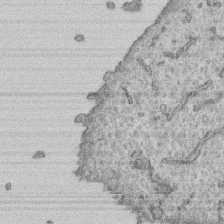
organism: Human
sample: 1205lu cells